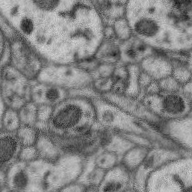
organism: Zebra finch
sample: Brain